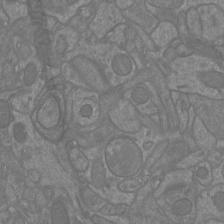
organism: Mouse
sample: Cortical neurons